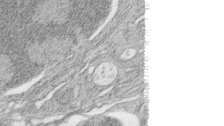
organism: Zebrafish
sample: synaptic ribbons in rod cells and cone cells